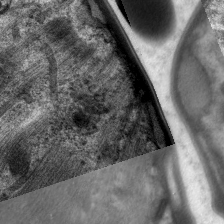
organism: C. elegans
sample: Pharynx